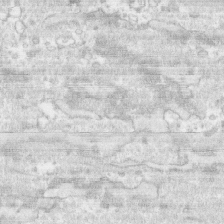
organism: Human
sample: CRL-1474